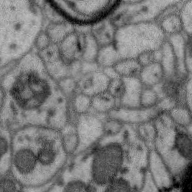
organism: Zebra finch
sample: Brain